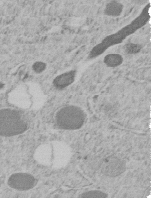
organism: C. elegans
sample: C. elegans embryo early stage